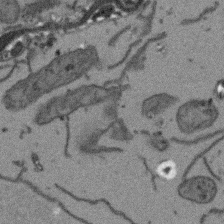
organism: Arabidopsis thaliana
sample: Root tip